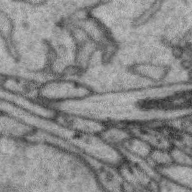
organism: Zebra finch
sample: Brain